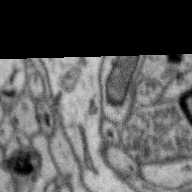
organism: Zebra finch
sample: Brain